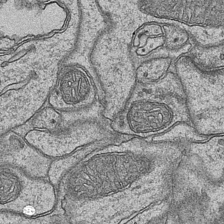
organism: Mouse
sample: CA1 Hippocampus